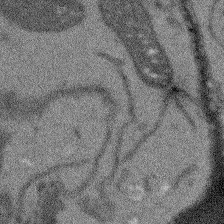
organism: Arabidopsis thaliana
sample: Root tip